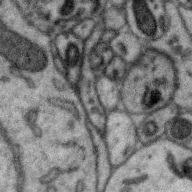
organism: Zebra finch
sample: Brain